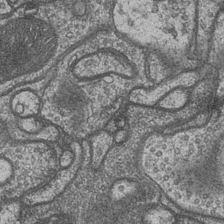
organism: Drosophila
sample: Optic medulla